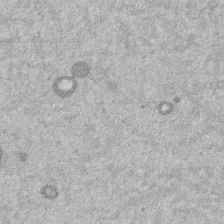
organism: Mouse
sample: Dividing mouse embryo 1 cell stage